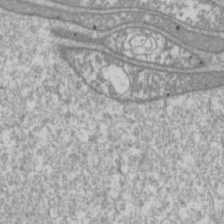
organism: Drosophila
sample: Cell division; meiosis; drosophila spermatocytes